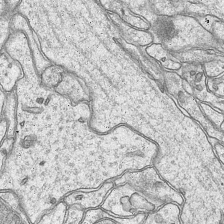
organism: Mouse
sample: CA1 Hippocampus